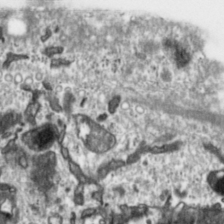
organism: Toxoplasma gondii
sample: Parasites in a vacuole inside a host cell